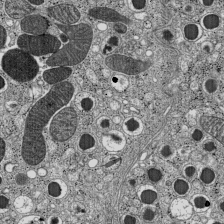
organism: C57BL Mouse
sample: Pancreatic islet